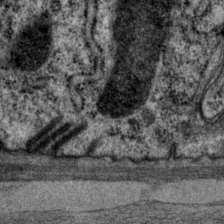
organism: P. pacificus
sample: Pharynx